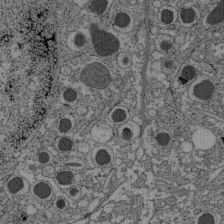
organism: C57BL Mouse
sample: Pancreatic islet